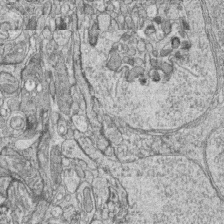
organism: Zebrafish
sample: synaptic ribbons in rod cells and cone cells